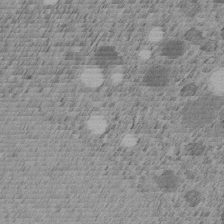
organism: C. elegans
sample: C. elegans embryo early stage